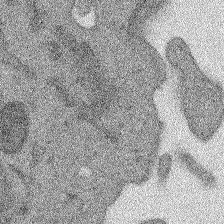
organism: Human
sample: HeLa cells